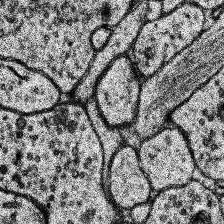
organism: Human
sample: Temporal Lobe